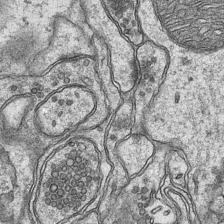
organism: Mouse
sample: CA1 Hippocampus